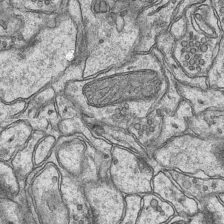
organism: Mouse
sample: CA1 Hippocampus